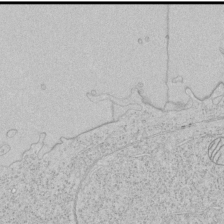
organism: Human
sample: Mitochondria in HCT116 cells